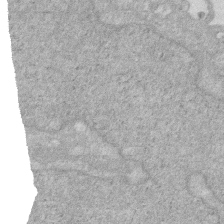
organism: Human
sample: HIV infected U937 cells